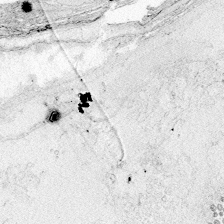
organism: Zebrafish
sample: Whole-Brain